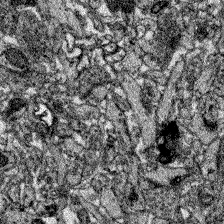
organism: Zebrafish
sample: Larval olfactory bulb